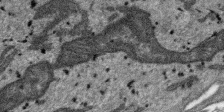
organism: Human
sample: Lung epithelial cells, uninfected (mock) control